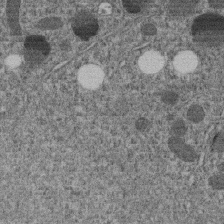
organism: C. elegans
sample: C. elegans embryo early stage